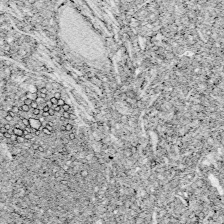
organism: Zebrafish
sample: Whole-Brain